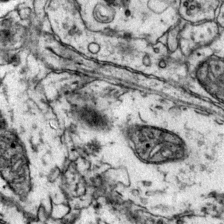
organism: Mouse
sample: Primary visual cortex